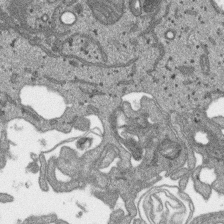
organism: Human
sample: Lung epithelial cells infected with SARS-CoV-2